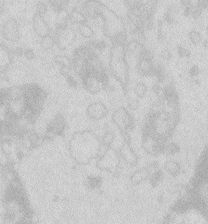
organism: Zebrafish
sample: Macrophage